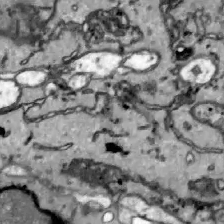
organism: Zebrafish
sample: Actinotrichia fibers